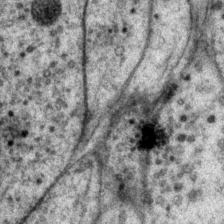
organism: P. pacificus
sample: Pharynx